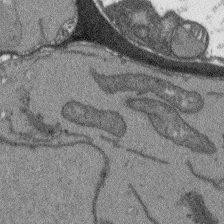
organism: Arabidopsis thaliana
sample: Root tip